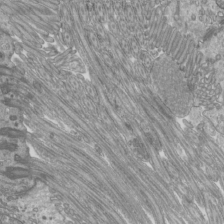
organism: Mouse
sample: Cilia; mouse epididymis